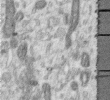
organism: Human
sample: Centriole in RPE cells